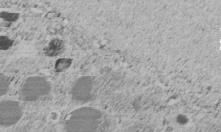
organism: C. elegans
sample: C. elegans embryo early stage